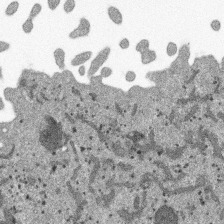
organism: Human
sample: Lung epithelial cells infected with SARS-CoV-2